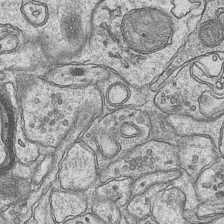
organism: Mouse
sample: CA1 Hippocampus